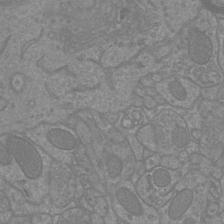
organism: Mouse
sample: Cortical neurons